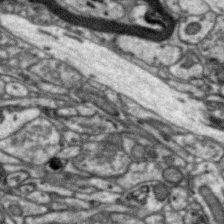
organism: Zebra finch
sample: Brain